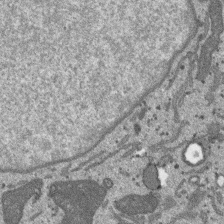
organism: Human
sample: Lung epithelial cells infected with SARS-CoV-2